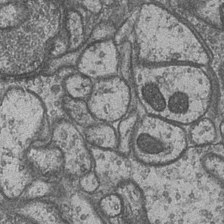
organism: Drosophila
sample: Optic medulla